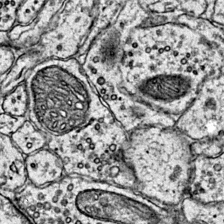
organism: Mouse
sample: Primary visual cortex